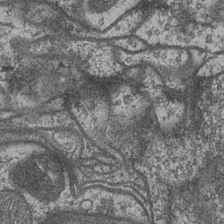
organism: Drosophila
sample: Optic medulla